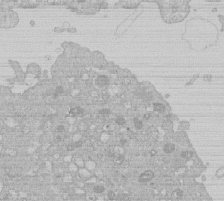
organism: Human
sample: Macrophage cells